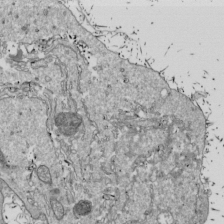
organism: Drosophila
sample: Cell division; meiosis; drosophila spermatocytes